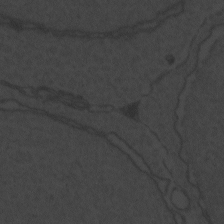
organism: Zebrafish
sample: Macrophage infected with Toxoplasma gondii